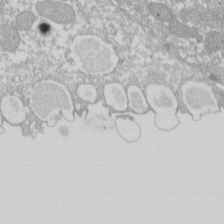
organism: Xenopus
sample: Cilia; centrioles in frog embryo cells